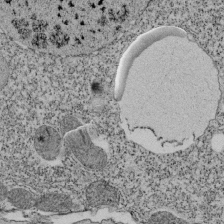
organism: Tetrahymena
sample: Cilia in tetrahymena